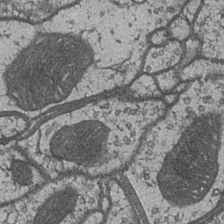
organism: Drosophila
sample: Optic medulla